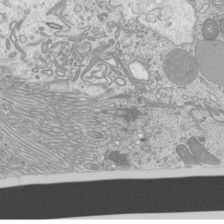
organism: Mouse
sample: Cilia; mouse epididymis